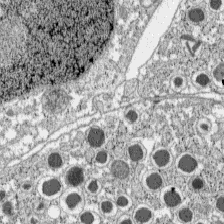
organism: C57BL Mouse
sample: Pancreatic islet